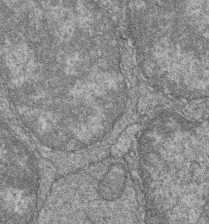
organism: Zebrafish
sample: Cilia; retinal pigment epithelium